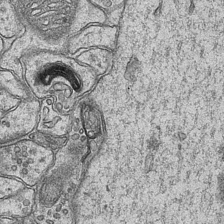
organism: Mouse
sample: CA1 Hippocampus